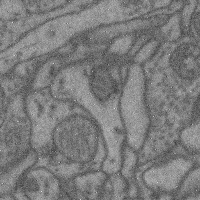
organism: Mouse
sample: Cerebral cortex